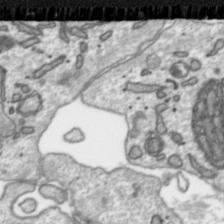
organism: Toxoplasma gondii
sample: Parasites in a vacuole inside a host cell